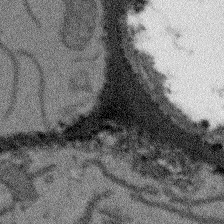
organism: Arabidopsis thaliana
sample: Root tip